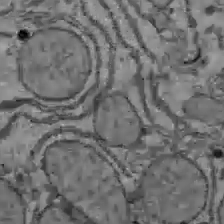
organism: C57BL Mouse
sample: Liver